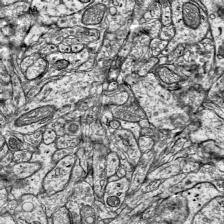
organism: Mouse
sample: Visual Cortex